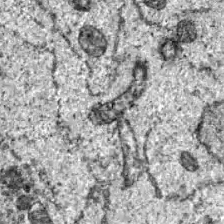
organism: Human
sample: HeLa cells